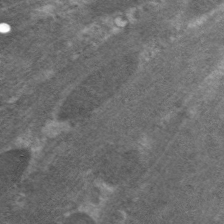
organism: C. elegans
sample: Pharynx